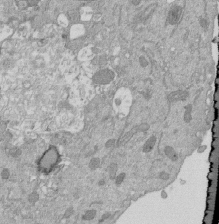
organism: Mouse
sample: ED-1 cell nuclei; centrioles